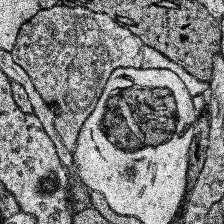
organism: Human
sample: Temporal Lobe